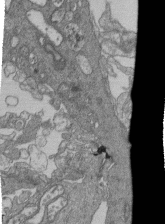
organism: Human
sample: Retinal organoid Rod and Cone cells